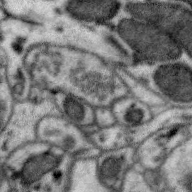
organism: Zebra finch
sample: Brain